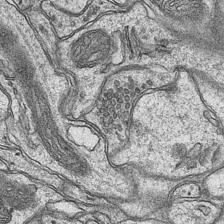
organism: Mouse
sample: CA1 Hippocampus